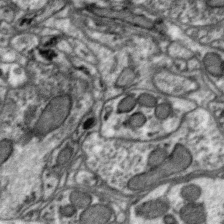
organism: Zebra finch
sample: Brain